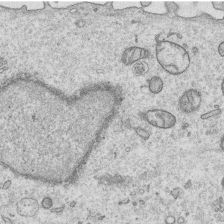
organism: Human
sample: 1205lu cells